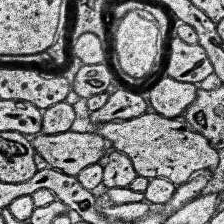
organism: Human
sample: Temporal Lobe